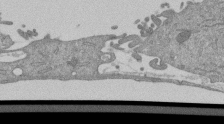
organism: Mouse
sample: ED-1 cell nuclei; centrioles